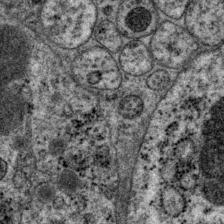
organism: P. pacificus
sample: Pharynx